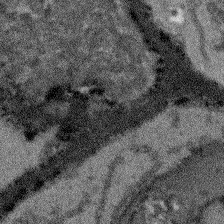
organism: Arabidopsis thaliana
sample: Root tip